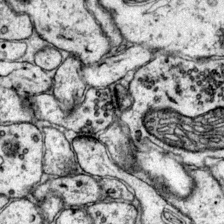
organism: Mouse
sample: Primary visual cortex